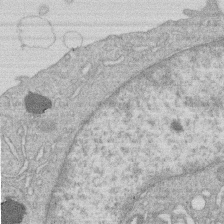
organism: Human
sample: Macrophage cells